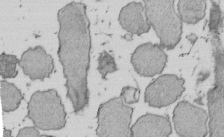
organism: E. coli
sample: Bacterial nucleoid